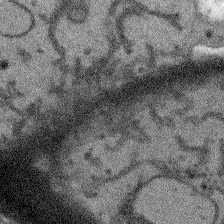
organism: Arabidopsis thaliana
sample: Root tip